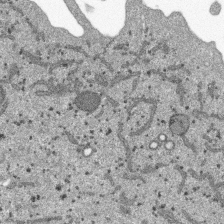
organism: Human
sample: Lung epithelial cells infected with SARS-CoV-2